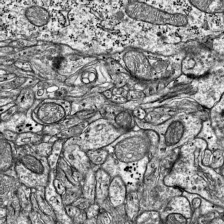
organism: Mouse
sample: Visual Cortex